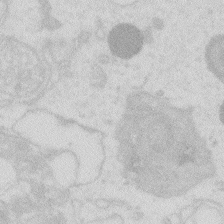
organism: Zebrafish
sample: Macrophage